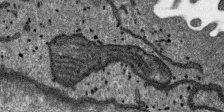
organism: Human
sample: Lung epithelial cells, uninfected (mock) control